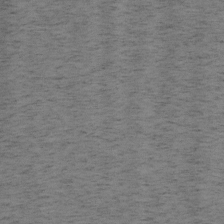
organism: Mouse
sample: OT-I killer T cells with ID8 ovarian cancer cells